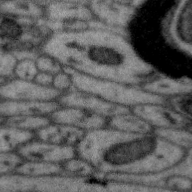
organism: Zebra finch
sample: Brain